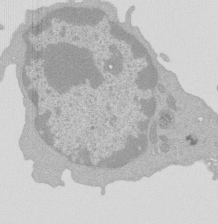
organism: Mouse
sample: Activated Pmel transgenic CD8+ T Cells